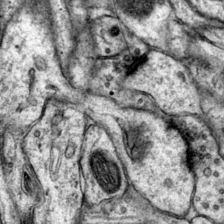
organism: Mouse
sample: Primary visual cortex